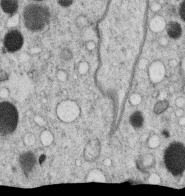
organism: C. elegans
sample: C. elegans oocyte; sperm cells